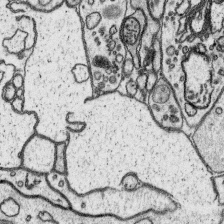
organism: Platynereis dumerilii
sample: Parapodia